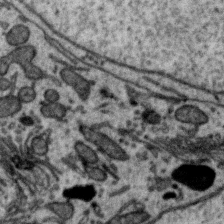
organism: Zebra finch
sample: Brain